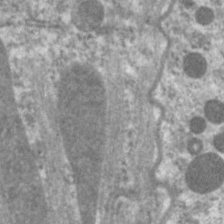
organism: C. elegans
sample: Pharynx